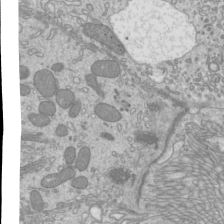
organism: Mouse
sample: Cilia; mouse epididymis